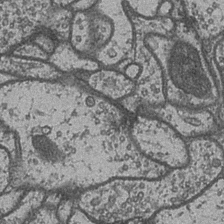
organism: Drosophila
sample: Optic medulla